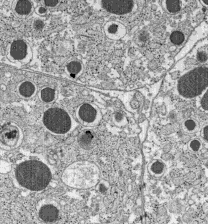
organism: C57BL Mouse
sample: Pancreatic islet